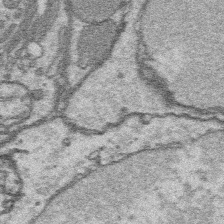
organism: Platynereis dumerilii